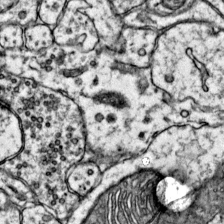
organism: Mouse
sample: Primary visual cortex